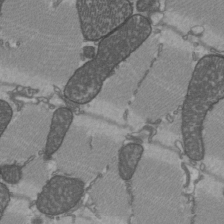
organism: C57BL Mouse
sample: Heart